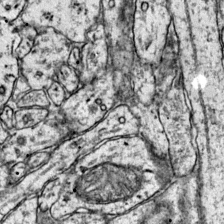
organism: Mouse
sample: Primary visual cortex